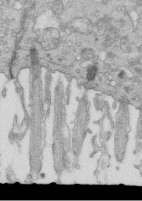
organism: Mouse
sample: Multiciliated cells